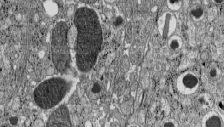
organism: C57BL Mouse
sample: Pancreatic islet